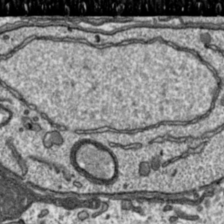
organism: Toxoplasma gondii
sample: Parasites in a vacuole inside a host cell